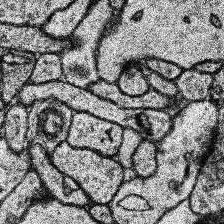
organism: Human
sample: Temporal Lobe